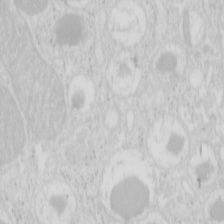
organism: Mouse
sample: Pancreas